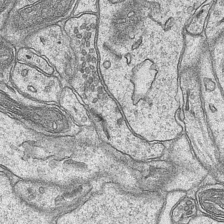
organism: Mouse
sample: CA1 Hippocampus